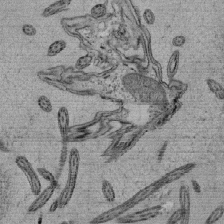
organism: Tetrahymena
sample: Cilia in tetrahymena